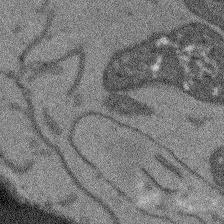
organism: Arabidopsis thaliana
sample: Root tip